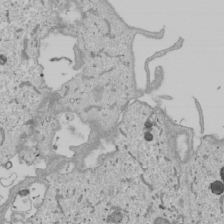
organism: Human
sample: Mitochondria in U2OS cells